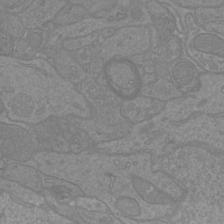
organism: Mouse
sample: Cortical neurons